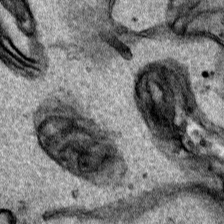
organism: Human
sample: Mitochondria in HCT116 cells